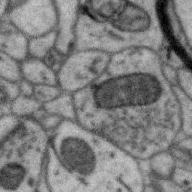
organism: Zebra finch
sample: Brain